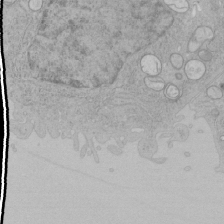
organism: Human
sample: Mitochondria in HCT116 cells